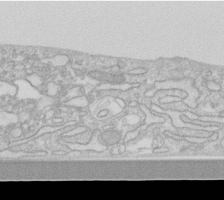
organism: Human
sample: Fibroblast cells